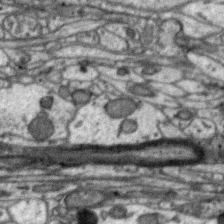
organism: Zebra finch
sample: Brain